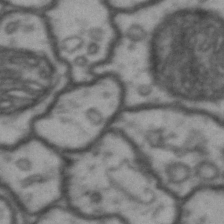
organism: Drosophila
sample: Brain